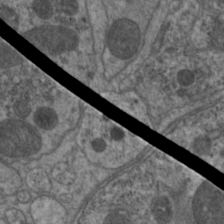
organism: C. elegans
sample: Pharynx